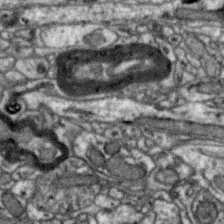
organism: Zebra finch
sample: Brain